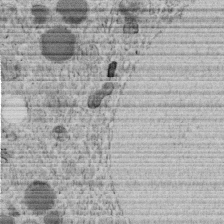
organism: C. elegans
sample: C. elegans embryo early stage